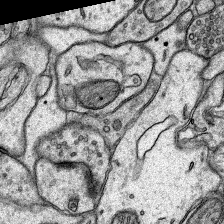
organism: Rat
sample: Hippocampus